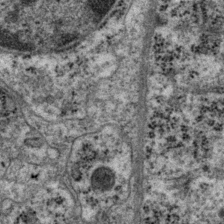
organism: P. pacificus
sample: Pharynx